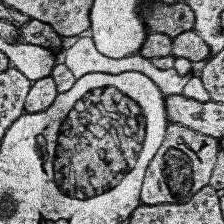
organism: Human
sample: Temporal Lobe